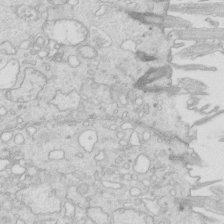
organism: Mouse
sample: Multiciliated cells